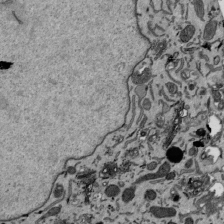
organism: Mouse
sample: ED-1 cell nuclei; centrioles